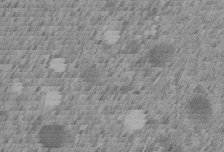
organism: C. elegans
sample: C. elegans embryo early stage